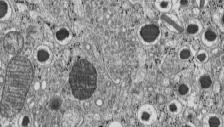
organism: C57BL Mouse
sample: Pancreatic islet